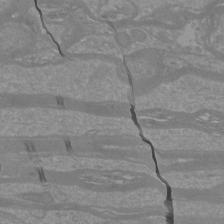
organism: Mouse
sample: Cortical neurons